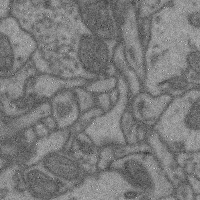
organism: Mouse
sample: Cerebral cortex